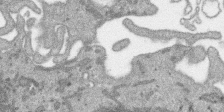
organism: Human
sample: Lung epithelial cells infected with SARS-CoV-2